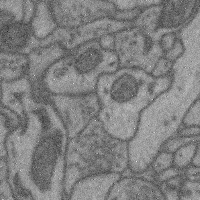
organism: Mouse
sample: Cerebral cortex